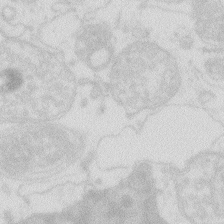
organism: Zebrafish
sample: Macrophage